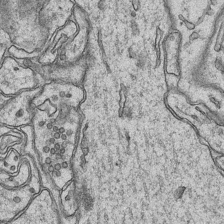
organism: Mouse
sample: CA1 Hippocampus